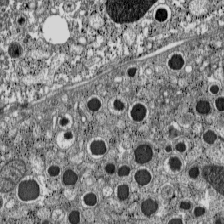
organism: C57BL Mouse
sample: Pancreatic islet